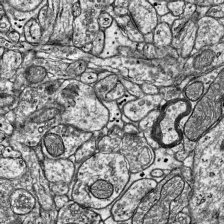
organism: Mouse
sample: Visual Cortex